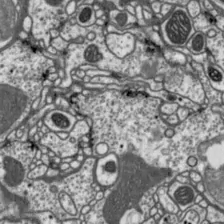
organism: Drosophila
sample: Protocerebral bridge